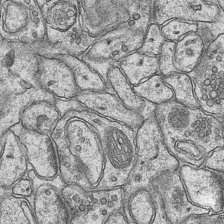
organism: Mouse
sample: CA1 Hippocampus